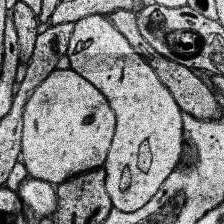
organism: Human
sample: Temporal Lobe